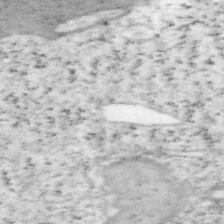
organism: Mouse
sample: OT-I killer T cells with ID8 ovarian cancer cells